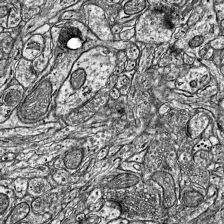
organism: Mouse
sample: Visual Cortex